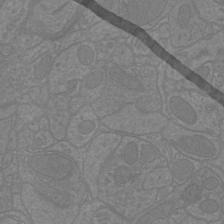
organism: Mouse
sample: Cortical neurons